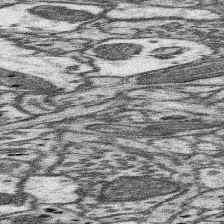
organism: Mouse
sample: Somatosensory cortex neuropil